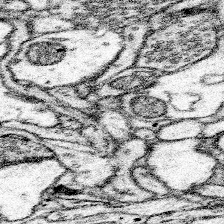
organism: Mouse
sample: Somatosensory cortex neuropil